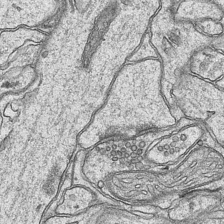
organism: Mouse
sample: CA1 Hippocampus